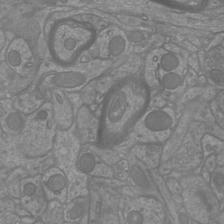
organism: Mouse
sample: Cortical neurons